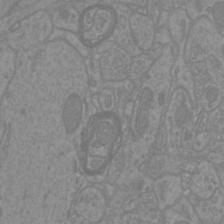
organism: Mouse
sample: Cortical neurons